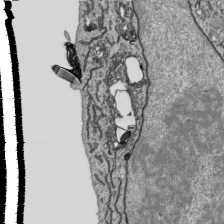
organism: Human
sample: Mitochondria in HCT116 cells